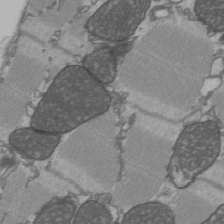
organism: C57BL Mouse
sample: Heart